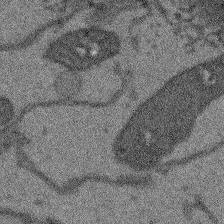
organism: Arabidopsis thaliana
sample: Root tip